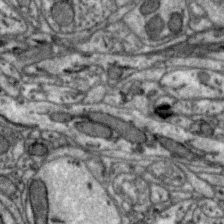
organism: Zebra finch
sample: Brain